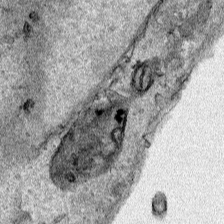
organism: Human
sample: Mitochondria in HCT116 cells